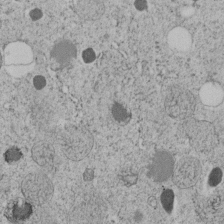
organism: C. elegans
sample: C. elegans embryo early stage